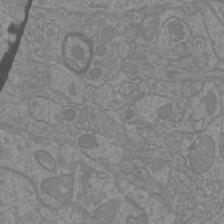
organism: Mouse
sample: Cortical neurons